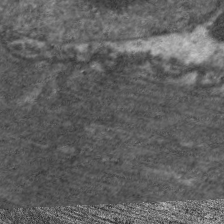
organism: C. elegans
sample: Pharynx